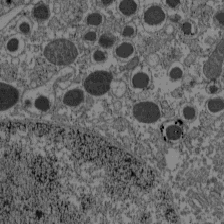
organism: C57BL Mouse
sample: Pancreatic islet